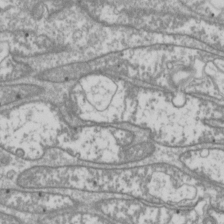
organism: Drosophila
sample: Cell division; meiosis; drosophila spermatocytes